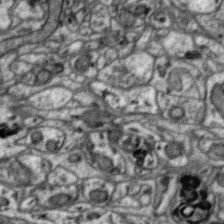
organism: Zebra finch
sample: Brain